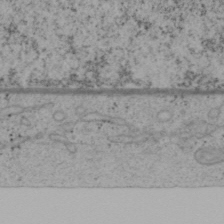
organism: Human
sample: HeLa cells